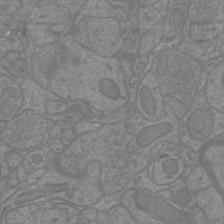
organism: Mouse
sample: Cortical neurons